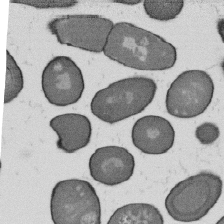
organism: B. subtilis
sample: Bacterial spore